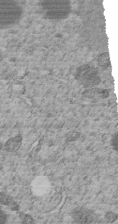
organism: C. elegans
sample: C. elegans embryo early stage